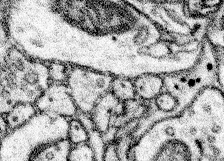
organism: Mouse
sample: Somatosensory cortex neuropil